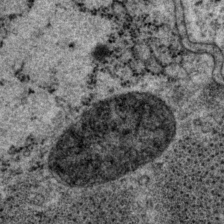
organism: P. pacificus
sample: Pharynx